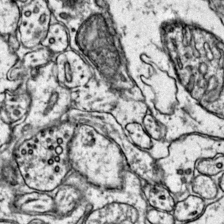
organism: Mouse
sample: Primary visual cortex